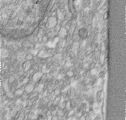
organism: Human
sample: Centriole in RPE cells